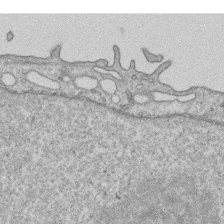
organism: Human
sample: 1205lu cells